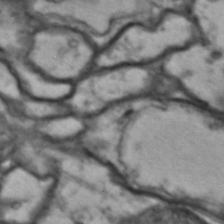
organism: Drosophila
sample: Brain